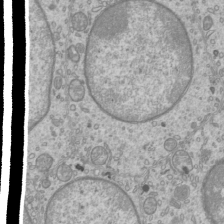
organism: Mouse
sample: Cilia; mouse epididymis